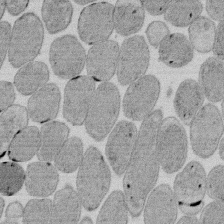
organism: E. coli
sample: Bacterial nucleoid